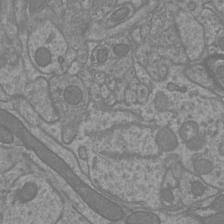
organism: Mouse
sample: Cortical neurons